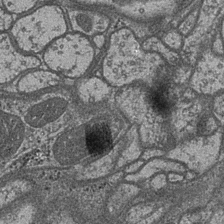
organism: Drosophila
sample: Optic medulla